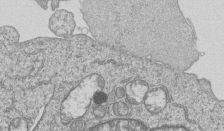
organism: Human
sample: MDA-MB-231 cells